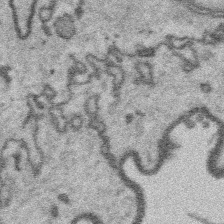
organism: Platynereis dumerilii